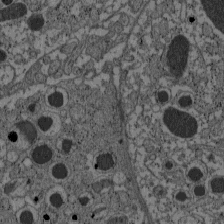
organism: C57BL Mouse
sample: Pancreatic islet